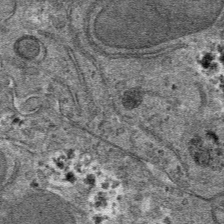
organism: Mouse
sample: Mouse hepatocytes